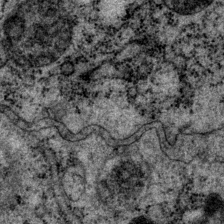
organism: P. pacificus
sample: Pharynx